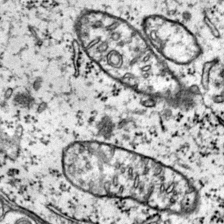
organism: Mouse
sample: Primary visual cortex